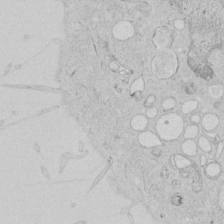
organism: Human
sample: Mitochondria in HCT116 cells